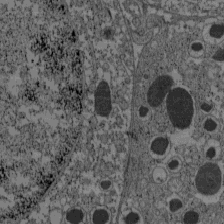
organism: C57BL Mouse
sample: Pancreatic islet